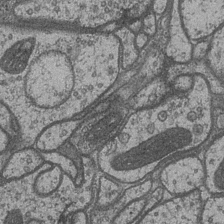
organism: Drosophila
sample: Optic medulla